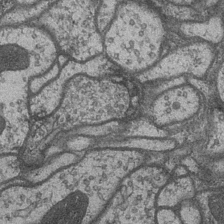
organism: Drosophila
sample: Optic medulla